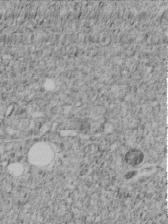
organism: C. elegans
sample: C. elegans embryo early stage